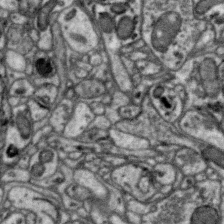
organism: Zebra finch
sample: Brain